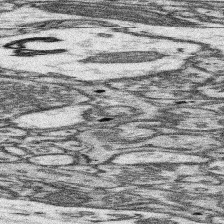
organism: Mouse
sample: Somatosensory cortex neuropil